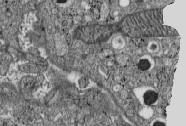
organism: C57BL Mouse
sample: Pancreatic islet